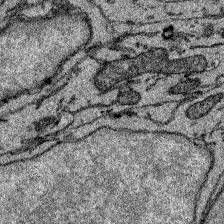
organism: Zebrafish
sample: Larval olfactory bulb